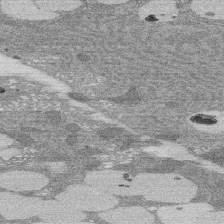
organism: Rat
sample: Salivary granule